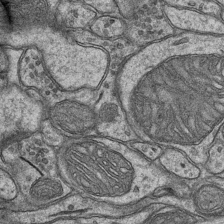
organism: Mouse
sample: CA1 Hippocampus